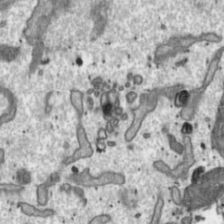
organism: Toxoplasma gondii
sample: Parasites in a vacuole inside a host cell